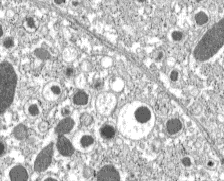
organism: C57BL Mouse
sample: Pancreatic islet